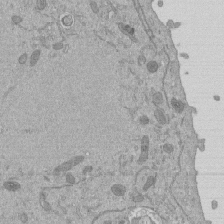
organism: Mouse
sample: ED-1 cell nuclei; centrioles